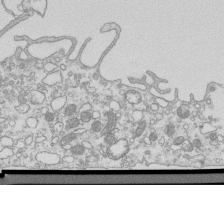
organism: Mouse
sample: Macrophages